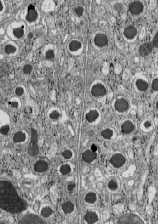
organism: C57BL Mouse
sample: Pancreatic islet